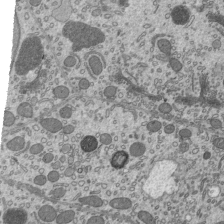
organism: Mouse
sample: Mouse epididymis efferent ductule cilia